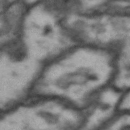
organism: Drosophila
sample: Brain